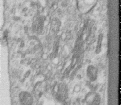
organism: Human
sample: Centriole in RPE cells